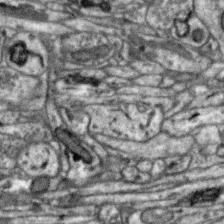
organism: Zebra finch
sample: Brain